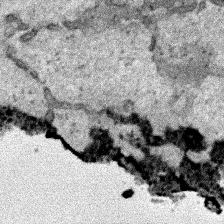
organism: Human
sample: Mitochondria in HCT116 cells